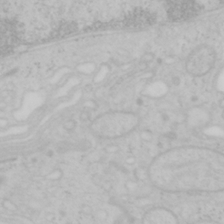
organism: Mouse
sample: OT-I killer T cells with ID8 ovarian cancer cells